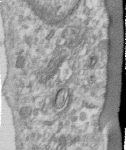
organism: Human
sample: Centriole in RPE cells